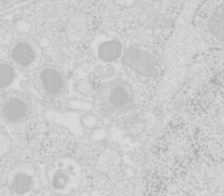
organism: Mouse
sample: Pancreas